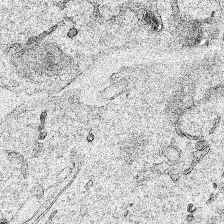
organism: Human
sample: Mitochondria in HCT116 cells